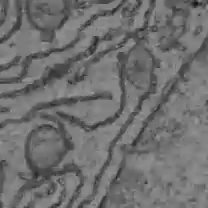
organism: C57BL Mouse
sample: Liver